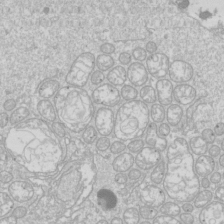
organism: Drosophila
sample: Cell division; meiosis; drosophila spermatocytes